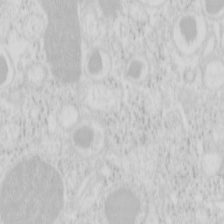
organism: Mouse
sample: Pancreas